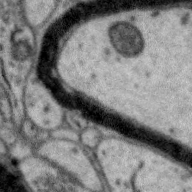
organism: Zebra finch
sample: Brain